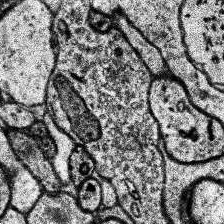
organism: Human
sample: Temporal Lobe